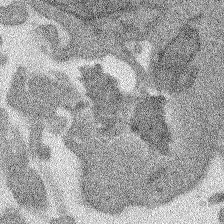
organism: Human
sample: HeLa cells